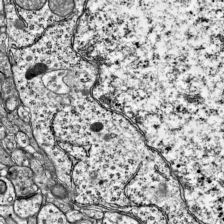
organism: Mouse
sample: Visual Cortex